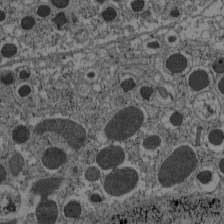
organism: C57BL Mouse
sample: Pancreatic islet